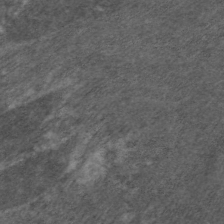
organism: C. elegans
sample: Pharynx